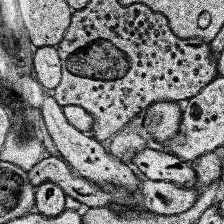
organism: Human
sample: Temporal Lobe